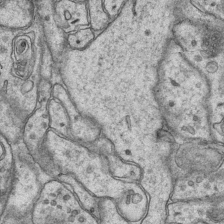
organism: Mouse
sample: CA1 Hippocampus